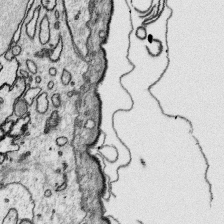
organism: Platynereis dumerilii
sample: Parapodia